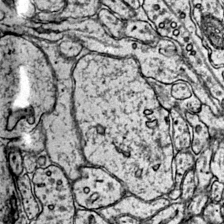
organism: Mouse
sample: Primary visual cortex